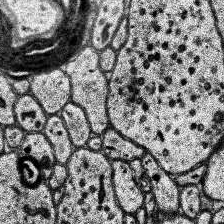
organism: Human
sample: Temporal Lobe